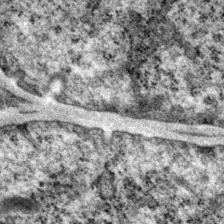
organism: P. pacificus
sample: Pharynx